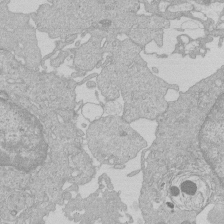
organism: Human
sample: Macrophage cells